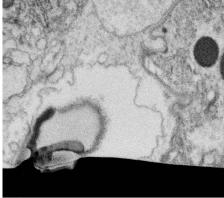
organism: C. elegans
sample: C. elegans oocyte; sperm cells